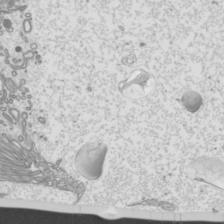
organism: Mouse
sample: Cilia; mouse epididymis